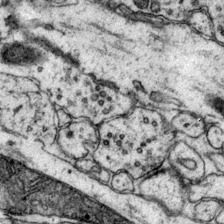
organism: Mouse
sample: Primary visual cortex